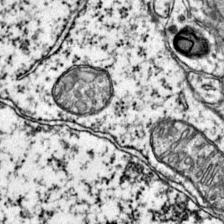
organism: Mouse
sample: Primary visual cortex